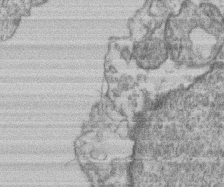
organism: Mouse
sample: T cell stromal cell synapse